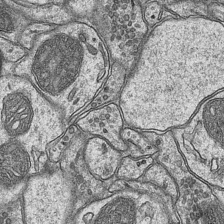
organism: Mouse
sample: CA1 Hippocampus